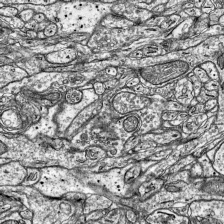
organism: Mouse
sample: Visual Cortex